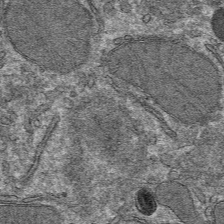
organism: Mouse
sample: Mouse hepatocytes